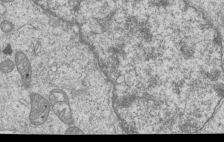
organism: Human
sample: MDA-MB-231 cells